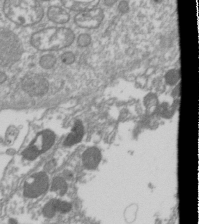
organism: Drosophila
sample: Cell division; meiosis; drosophila spermatocytes